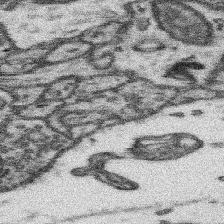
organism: Mouse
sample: Somatosensory cortex neuropil